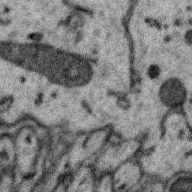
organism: Zebra finch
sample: Brain